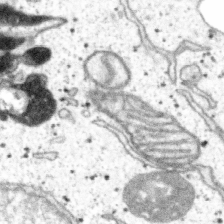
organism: Human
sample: HeLa cells